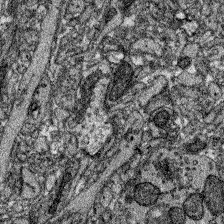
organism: Zebrafish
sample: Larval olfactory bulb